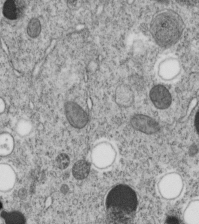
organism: C. elegans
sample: C. elegans embryo early stage